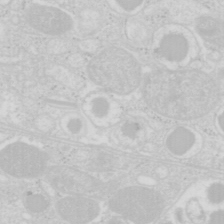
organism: Mouse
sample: Pancreas